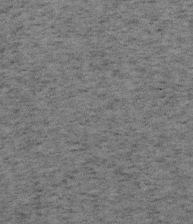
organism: Mouse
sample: OT-I killer T cells with ID8 ovarian cancer cells